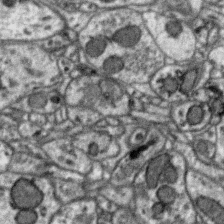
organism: Zebra finch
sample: Brain